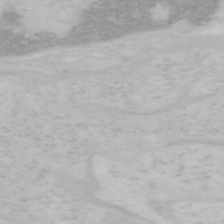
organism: Mouse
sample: OT-I killer T cells with ID8 ovarian cancer cells